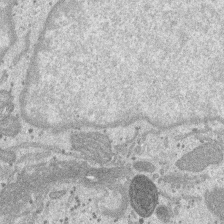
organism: Human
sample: Lung epithelial cells infected with SARS-CoV-2